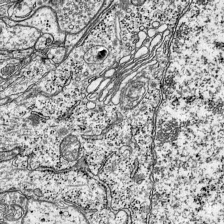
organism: Mouse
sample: Visual Cortex